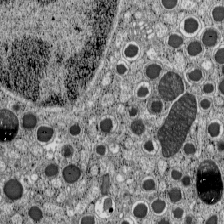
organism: C57BL Mouse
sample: Pancreatic islet